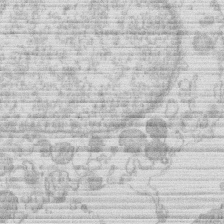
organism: Human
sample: Macrophage cells